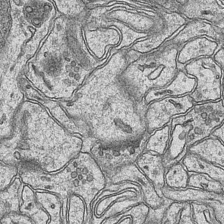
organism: Mouse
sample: CA1 Hippocampus